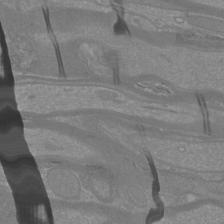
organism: Mouse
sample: Cortical neurons